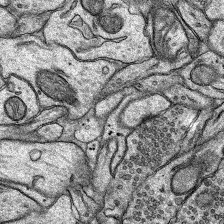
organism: Rat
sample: Hippocampus